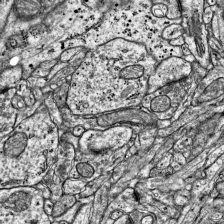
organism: Mouse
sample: Visual Cortex